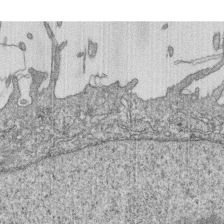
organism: Human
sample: HeLa cell HIV synapse